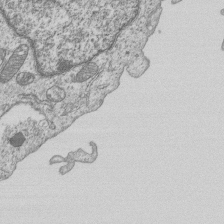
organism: Human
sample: MDA-MB-231 cells